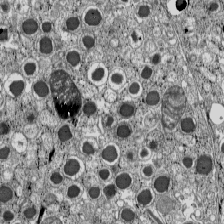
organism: C57BL Mouse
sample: Pancreatic islet